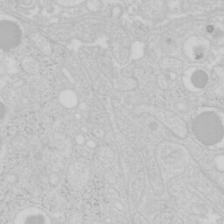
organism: Mouse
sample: Pancreas